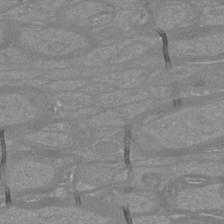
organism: Mouse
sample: Cortical neurons